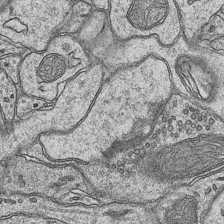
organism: Mouse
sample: CA1 Hippocampus